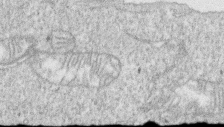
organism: Human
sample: HeLa cell HIV synapse